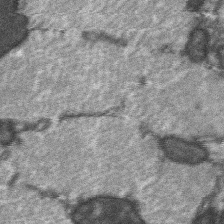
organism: C57BL Mouse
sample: Soleus